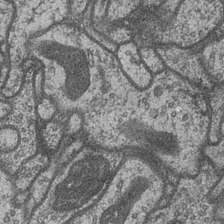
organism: Drosophila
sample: Optic medulla